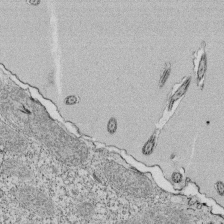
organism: Tetrahymena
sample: Cilia in tetrahymena